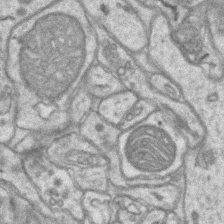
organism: Mouse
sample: CA1 Hippocampus